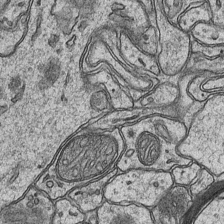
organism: Mouse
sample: CA1 Hippocampus